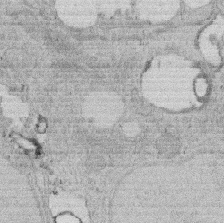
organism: Rat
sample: Salivary granule